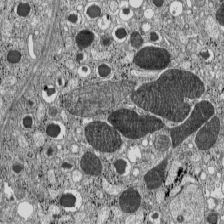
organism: C57BL Mouse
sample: Pancreatic islet